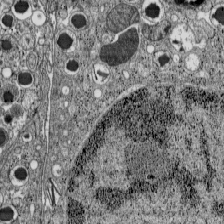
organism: C57BL Mouse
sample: Pancreatic islet